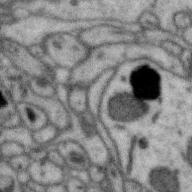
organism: Zebra finch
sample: Brain